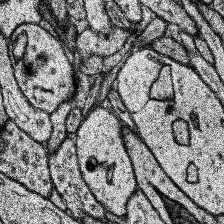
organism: Human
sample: Temporal Lobe